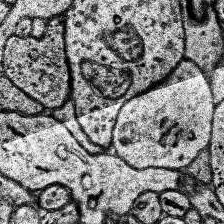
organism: Human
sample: Temporal Lobe